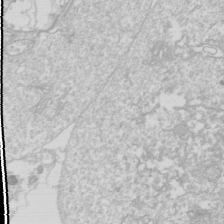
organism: Drosophila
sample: Cell division; meiosis; drosophila spermatocytes